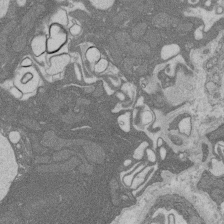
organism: Rat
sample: Salivary granule